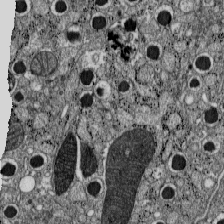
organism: C57BL Mouse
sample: Pancreatic islet